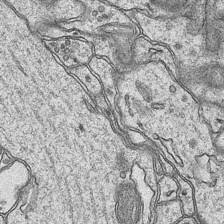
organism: Mouse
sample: CA1 Hippocampus